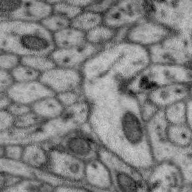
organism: Zebra finch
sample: Brain